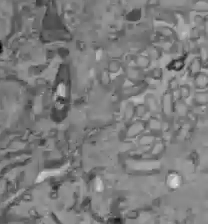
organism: C57BL Mouse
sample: Liver